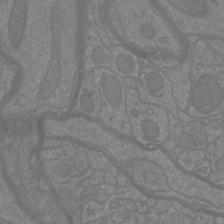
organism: Mouse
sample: Cortical neurons